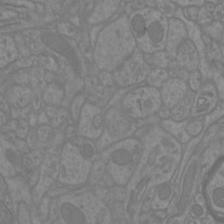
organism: Mouse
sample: Cortical neurons